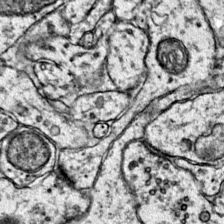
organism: Mouse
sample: Primary visual cortex